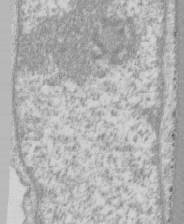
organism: Human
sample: CRL-1474